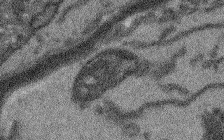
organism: Arabidopsis thaliana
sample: Root tip